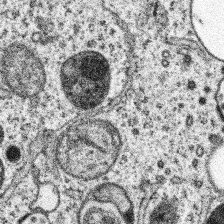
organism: Human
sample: HeLa cells